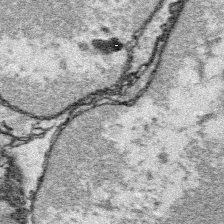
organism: Platynereis dumerilii